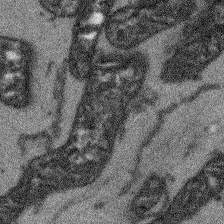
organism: Arabidopsis thaliana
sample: Root tip